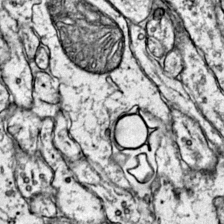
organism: Mouse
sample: Primary visual cortex